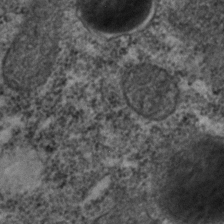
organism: C. elegans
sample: C. elegans embryo